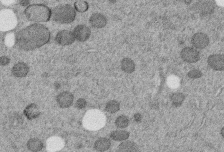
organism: C. elegans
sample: C. elegans embryo early stage